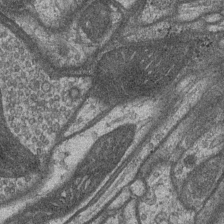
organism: Drosophila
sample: Optic medulla